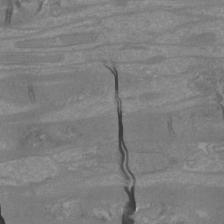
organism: Mouse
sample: Cortical neurons